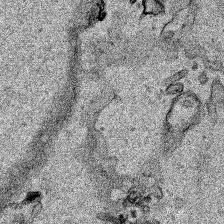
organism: Human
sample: Mitochondria in HCT116 cells